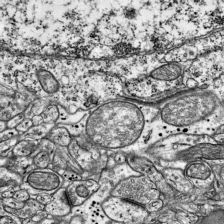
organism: Mouse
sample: Visual Cortex